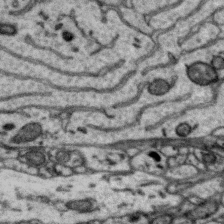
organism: Zebra finch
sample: Brain